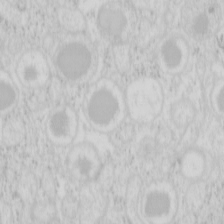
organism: Mouse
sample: Pancreas